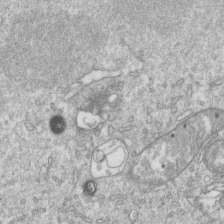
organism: Mouse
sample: Activated OT-1 CD8+ T cells